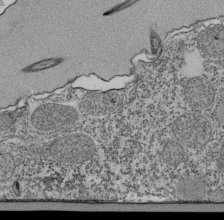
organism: Tetrahymena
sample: Cilia in tetrahymena